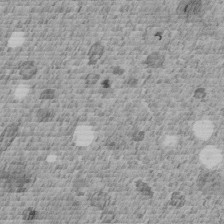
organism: C. elegans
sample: C. elegans embryo early stage